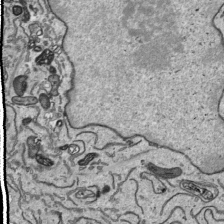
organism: Human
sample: Mitochondria in HCT116 cells